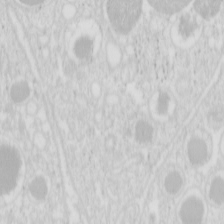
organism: Mouse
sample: Pancreas